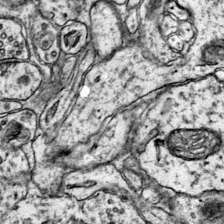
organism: Mouse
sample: Primary visual cortex